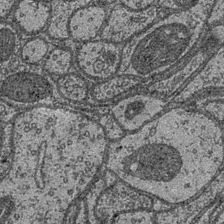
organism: Drosophila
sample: Optic medulla